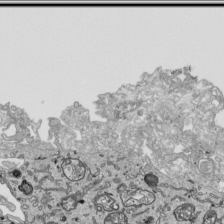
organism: Human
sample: Mitochondria in HCT116 cells